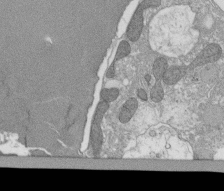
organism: Tetrahymena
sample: Cilia in tetrahymena